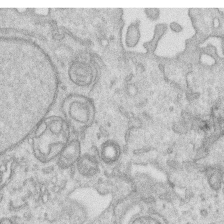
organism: Human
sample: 1205lu cells